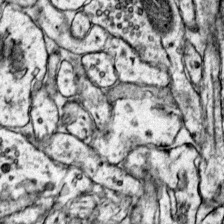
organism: Mouse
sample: Primary visual cortex